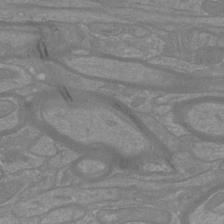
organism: Mouse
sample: Cortical neurons